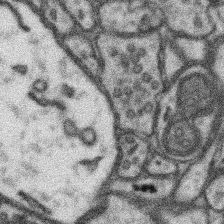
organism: Mouse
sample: Somatosensory cortex neuropil